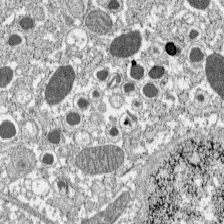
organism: C57BL Mouse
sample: Pancreatic islet